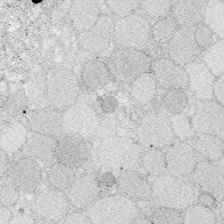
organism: Zebrafish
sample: Whole-Brain